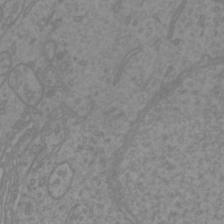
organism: Mouse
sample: Cortical neurons